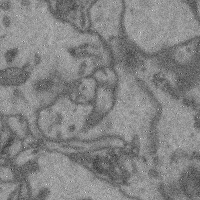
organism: Mouse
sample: Cerebral cortex